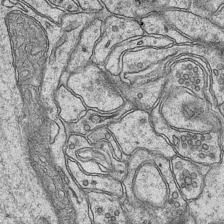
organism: Mouse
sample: CA1 Hippocampus